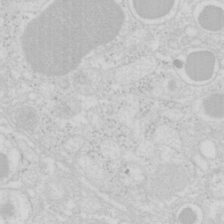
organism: Mouse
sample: Pancreas